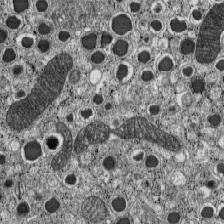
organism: C57BL Mouse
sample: Pancreatic islet